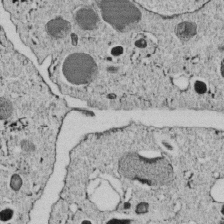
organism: C. elegans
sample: C. elegans embryo early stage